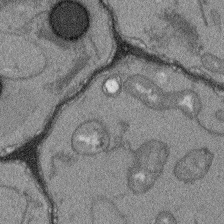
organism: Arabidopsis thaliana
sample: Root tip